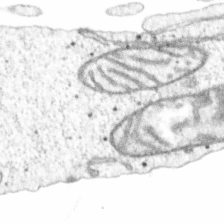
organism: Human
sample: HeLa cells